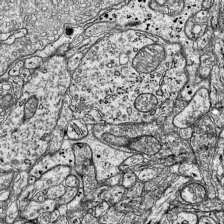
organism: Mouse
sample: Visual Cortex